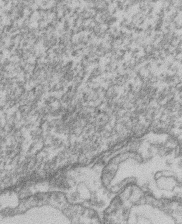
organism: Mouse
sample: T cell stromal cell synapse